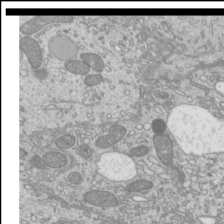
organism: Mouse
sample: Cilia; mouse epididymis